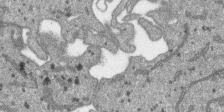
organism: Human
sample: Lung epithelial cells infected with SARS-CoV-2